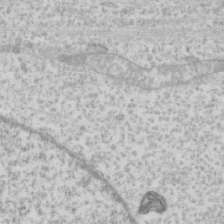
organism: Human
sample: Fibroblast cells